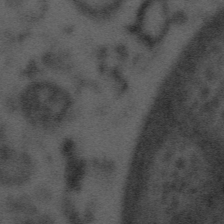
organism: Tuwongella immobilis